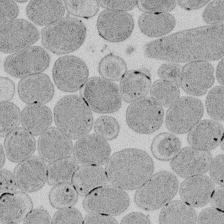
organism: E. coli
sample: Bacterial nucleoid